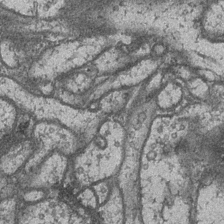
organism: Drosophila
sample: Optic medulla